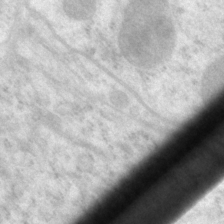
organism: P. pacificus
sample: Pharynx